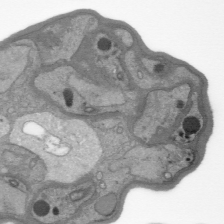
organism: Plasmodium falciparum